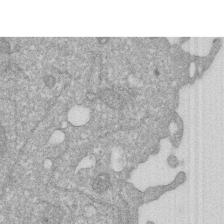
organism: Human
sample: HIV infected U937 cells